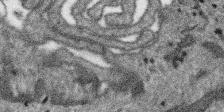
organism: Human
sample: Lung epithelial cells infected with SARS-CoV-2